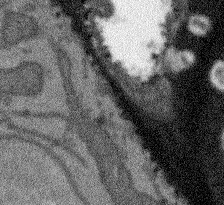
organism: Arabidopsis thaliana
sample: Root tip